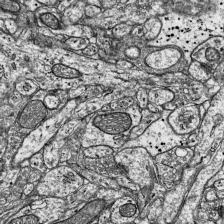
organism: Mouse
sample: Visual Cortex